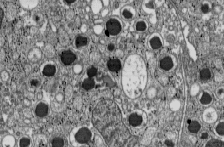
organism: C57BL Mouse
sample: Pancreatic islet